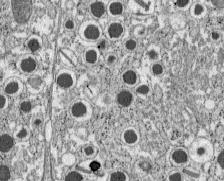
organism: C57BL Mouse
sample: Pancreatic islet